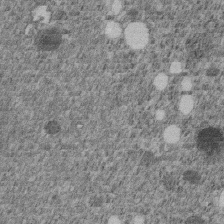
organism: C. elegans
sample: C. elegans embryo early stage